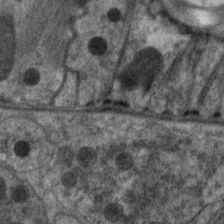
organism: C. elegans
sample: Pharynx